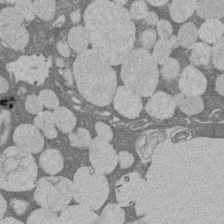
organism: Rat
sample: Salivary granule